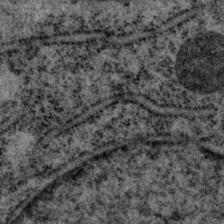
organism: P. pacificus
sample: Pharynx